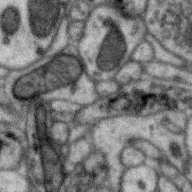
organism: Zebra finch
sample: Brain